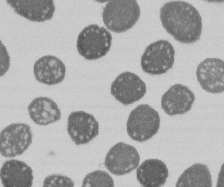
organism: E. coli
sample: Bacterial nucleoid